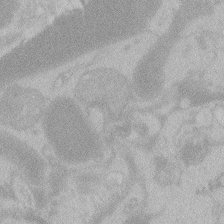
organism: Zebrafish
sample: Macrophage infected with Toxoplasma gondii